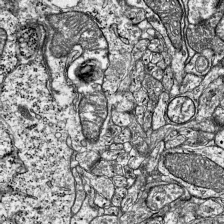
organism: Mouse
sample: Visual Cortex